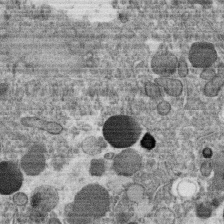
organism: C. elegans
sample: C. elegans oocyte; sperm cells